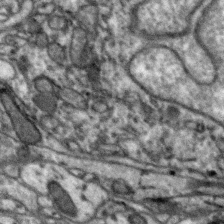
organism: Zebra finch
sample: Brain